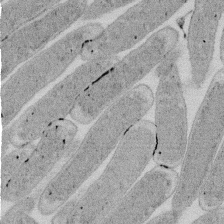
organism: E. coli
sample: Bacterial nucleoid